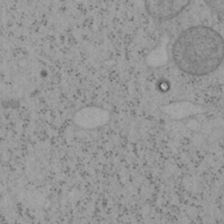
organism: Mouse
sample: OT-I killer T cells with ID8 ovarian cancer cells